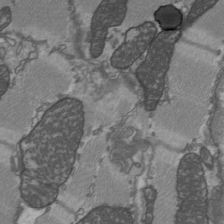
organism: C57BL Mouse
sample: Heart